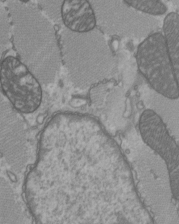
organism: C57BL Mouse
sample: Heart